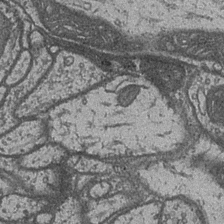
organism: Drosophila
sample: Optic medulla